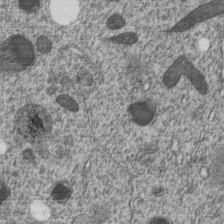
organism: C. elegans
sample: C. elegans embryo early stage